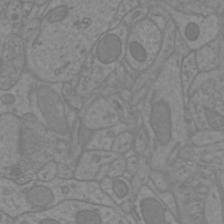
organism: Mouse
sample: Cortical neurons